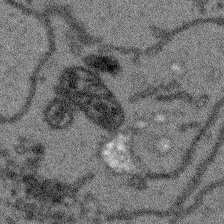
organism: Arabidopsis thaliana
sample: Root tip